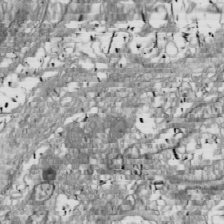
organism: Drosophila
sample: Cell division; meiosis; drosophila spermatocytes